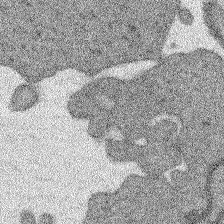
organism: Human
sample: HeLa cells